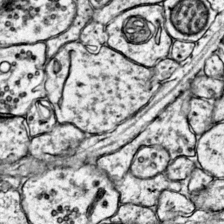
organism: Mouse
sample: Primary visual cortex